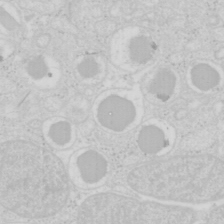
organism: Mouse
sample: Pancreas